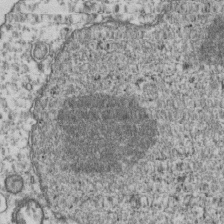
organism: Human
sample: Activated Jurkat CD4+ T cells